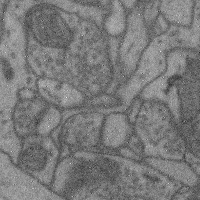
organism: Mouse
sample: Cerebral cortex